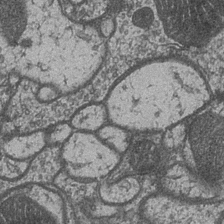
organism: Drosophila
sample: Optic medulla